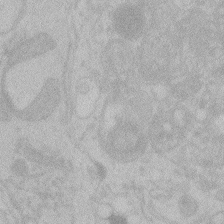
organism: Zebrafish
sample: Macrophage infected with Toxoplasma gondii